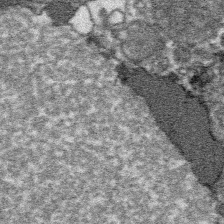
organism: Platynereis dumerilii